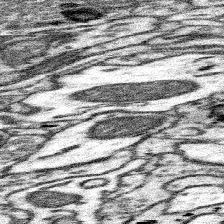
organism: Mouse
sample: Somatosensory cortex neuropil